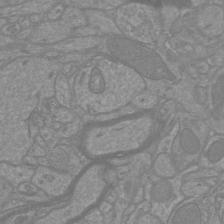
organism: Mouse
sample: Cortical neurons